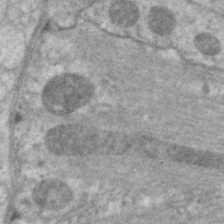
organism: C. elegans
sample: Pharynx